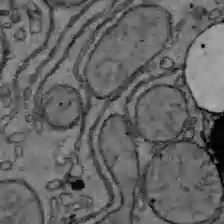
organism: C57BL Mouse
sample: Liver